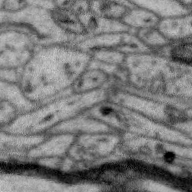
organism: Zebra finch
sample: Brain